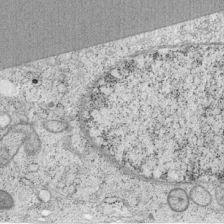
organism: African green monkey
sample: COS-7 cells